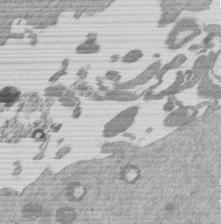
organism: Mouse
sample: Dividing mouse embryo 1 cell stage